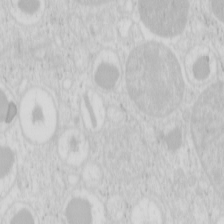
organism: Mouse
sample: Pancreas